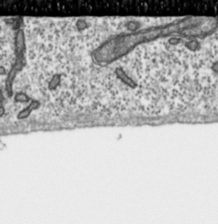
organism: Toxoplasma gondii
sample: Parasites in a vacuole inside a host cell